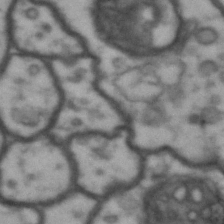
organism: Drosophila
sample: Brain